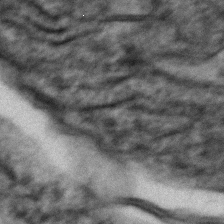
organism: Zebrafish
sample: Zebrafish embryo